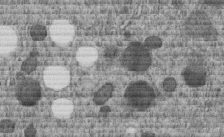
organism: C. elegans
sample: C. elegans embryo early stage